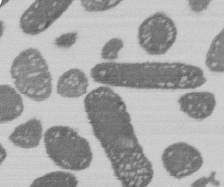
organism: E. coli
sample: Bacterial nucleoid